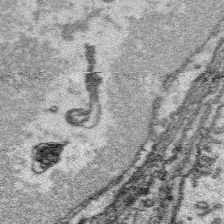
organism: Platynereis dumerilii